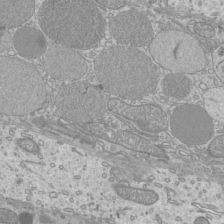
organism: Mouse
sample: Cilia; mouse epididymis